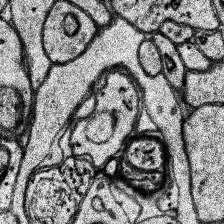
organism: Human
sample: Temporal Lobe